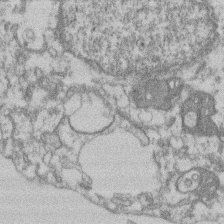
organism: Mouse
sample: T cell stromal cell synapse